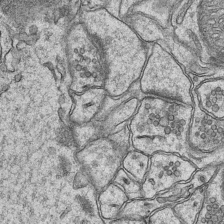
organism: Mouse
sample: CA1 Hippocampus